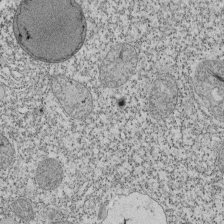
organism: Tetrahymena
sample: Cilia in tetrahymena